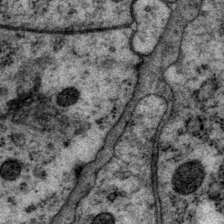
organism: P. pacificus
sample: Pharynx